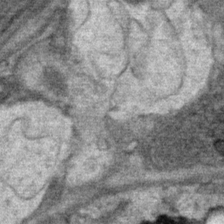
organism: Mouse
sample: Mouse Salivary gland